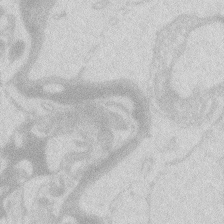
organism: Zebrafish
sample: Macrophage